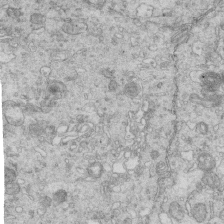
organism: Mouse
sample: Multiciliated cells